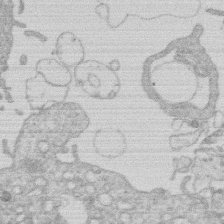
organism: Human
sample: Macrophage cells